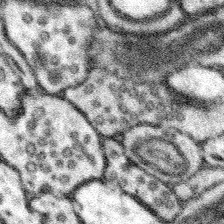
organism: Mouse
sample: Somatosensory cortex neuropil